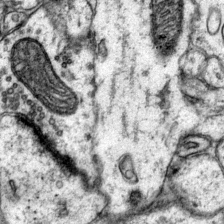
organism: Mouse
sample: Primary visual cortex